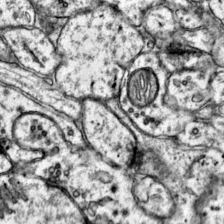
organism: Mouse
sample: Primary visual cortex